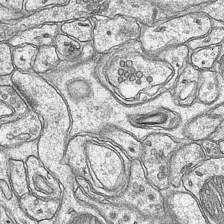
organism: Mouse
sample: CA1 Hippocampus